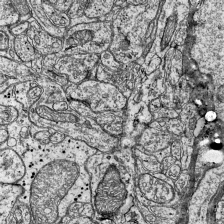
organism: Mouse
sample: Visual Cortex